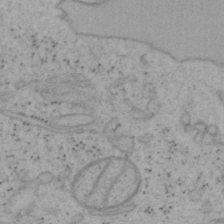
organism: Human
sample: HeLa cells